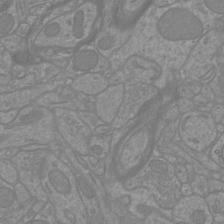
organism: Mouse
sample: Cortical neurons